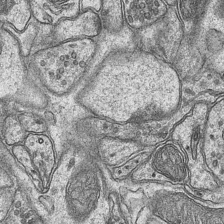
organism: Mouse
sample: CA1 Hippocampus